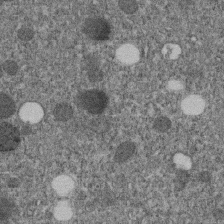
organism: C. elegans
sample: C. elegans embryo early stage